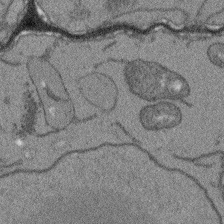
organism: Arabidopsis thaliana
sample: Root tip